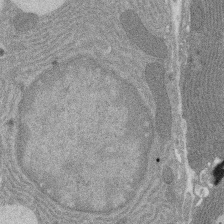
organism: Rat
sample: Salivary granule